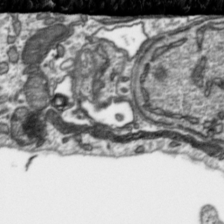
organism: Toxoplasma gondii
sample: Parasites in a vacuole inside a host cell